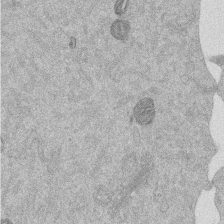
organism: Mouse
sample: Dividing mouse embryo 1 cell stage